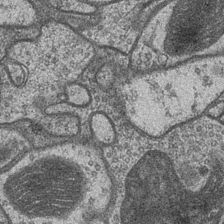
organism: Drosophila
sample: Optic medulla